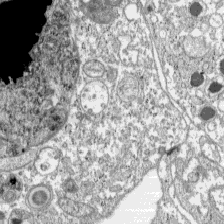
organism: C57BL Mouse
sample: Pancreatic islet